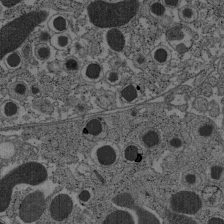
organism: C57BL Mouse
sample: Pancreatic islet